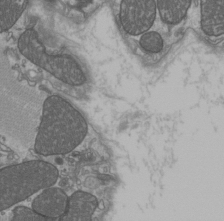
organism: C57BL Mouse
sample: Heart